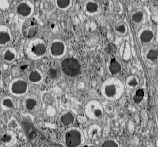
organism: C57BL Mouse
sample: Pancreatic islet